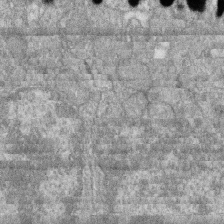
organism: Zebrafish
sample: Cilia; retinal pigment epithelium